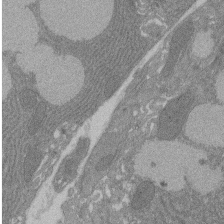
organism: Rat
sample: Salivary granule